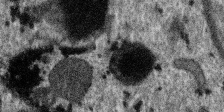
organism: Human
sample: Lung epithelial cells infected with SARS-CoV-2